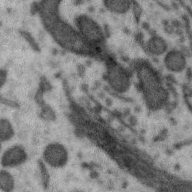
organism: Zebra finch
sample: Brain